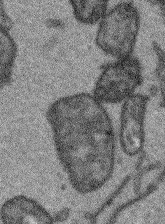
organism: Arabidopsis thaliana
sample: Root tip